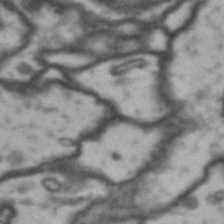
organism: Drosophila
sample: Brain